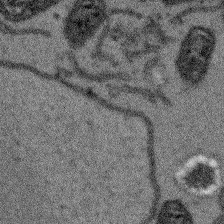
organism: Arabidopsis thaliana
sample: Root tip